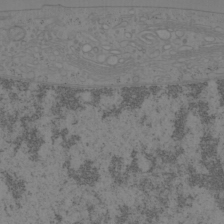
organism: Human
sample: HeLa cells